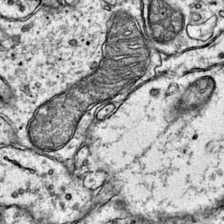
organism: Mouse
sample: Primary visual cortex